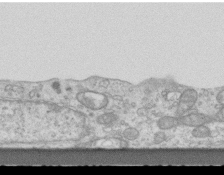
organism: Mouse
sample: Centriole in ependymal cells